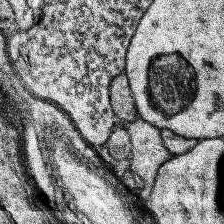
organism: Human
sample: Temporal Lobe